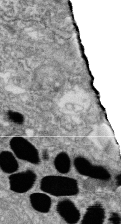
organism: Zebrafish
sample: Cilia; retinal pigment epithelium